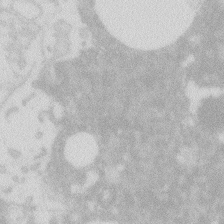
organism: Zebrafish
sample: Macrophage